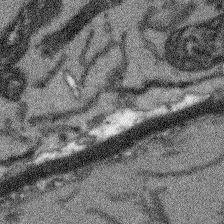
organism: Arabidopsis thaliana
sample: Root tip